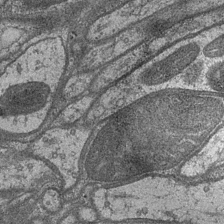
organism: Drosophila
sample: Optic medulla